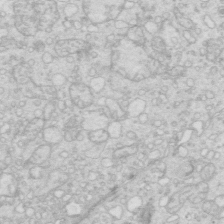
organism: Mouse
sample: Multiciliated cells